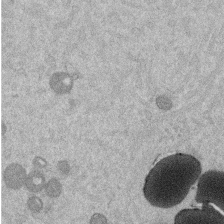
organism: Mouse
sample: Dividing mouse embryo 1 cell stage